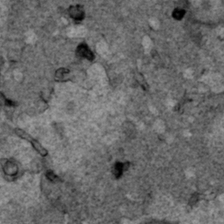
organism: Human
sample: Mitochondria in HCT116 cells